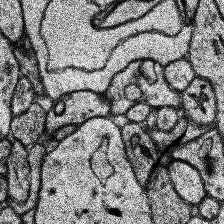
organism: Human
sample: Temporal Lobe